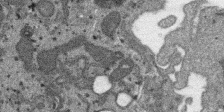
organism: Human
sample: Lung epithelial cells infected with SARS-CoV-2